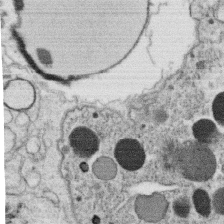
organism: C. elegans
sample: C. elegans oocyte; sperm cells